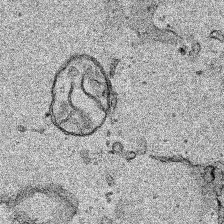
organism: Human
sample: Mitochondria in HCT116 cells